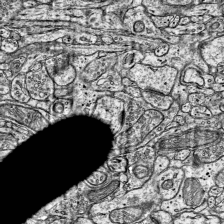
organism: Mouse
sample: Visual Cortex